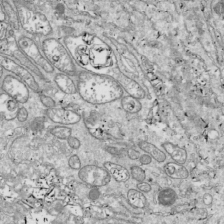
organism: Drosophila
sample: Cell division; meiosis; drosophila spermatocytes